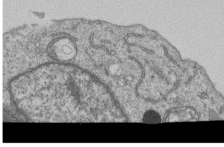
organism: Human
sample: MDA-MB-231 cells